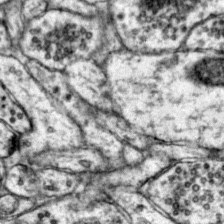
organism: Mouse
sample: Primary visual cortex